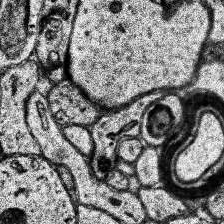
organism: Human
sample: Temporal Lobe